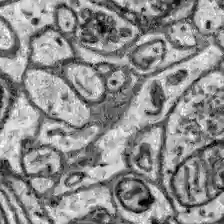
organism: Zebrafish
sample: Brain